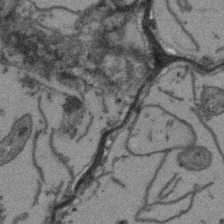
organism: Arabidopsis thaliana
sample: Root tip